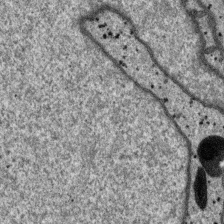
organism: Human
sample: Lung epithelial cells, uninfected (mock) control